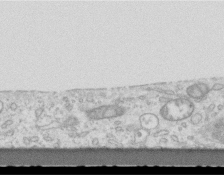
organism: Mouse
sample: Centriole in ependymal cells